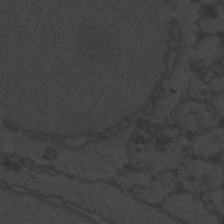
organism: Zebrafish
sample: Macrophage infected with Toxoplasma gondii